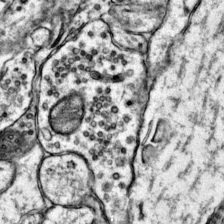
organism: Mouse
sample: Primary visual cortex